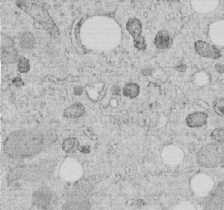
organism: C. elegans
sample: C. elegans embryo early stage